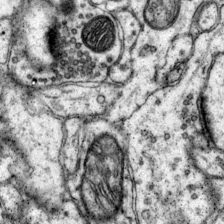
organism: Mouse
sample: Primary visual cortex